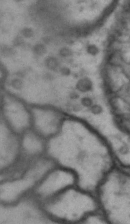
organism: Drosophila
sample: Brain